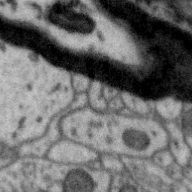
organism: Zebra finch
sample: Brain